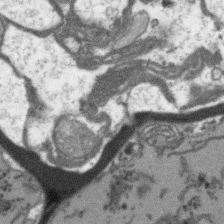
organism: Arabidopsis thaliana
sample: Root tip